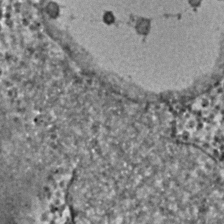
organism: C. elegans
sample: C. elegans embryo